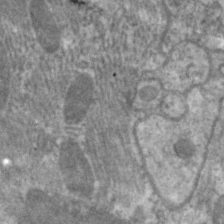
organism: C. elegans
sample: Pharynx